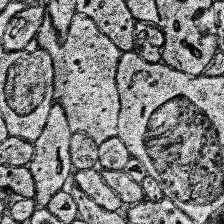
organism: Human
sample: Temporal Lobe